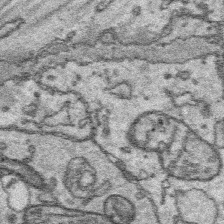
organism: Platynereis dumerilii